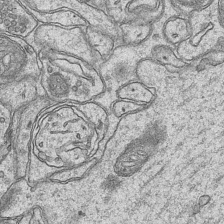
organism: Mouse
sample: CA1 Hippocampus